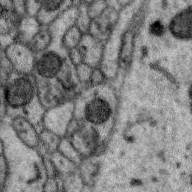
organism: Zebra finch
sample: Brain